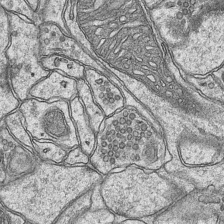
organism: Mouse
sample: CA1 Hippocampus